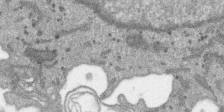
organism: Human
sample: Lung epithelial cells infected with SARS-CoV-2